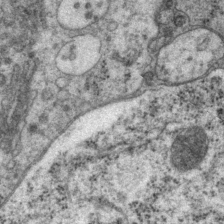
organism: P. pacificus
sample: Pharynx